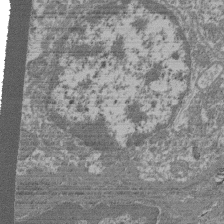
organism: Mouse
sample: Glomerulus